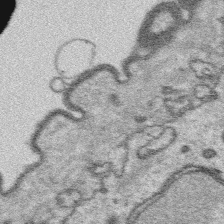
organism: Platynereis dumerilii